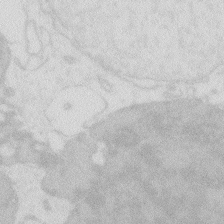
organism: Zebrafish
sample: Macrophage